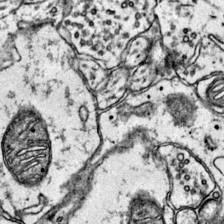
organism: Mouse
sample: Primary visual cortex